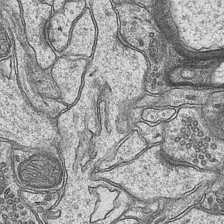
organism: Mouse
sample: CA1 Hippocampus